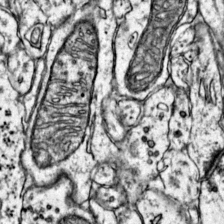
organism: Mouse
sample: Primary visual cortex